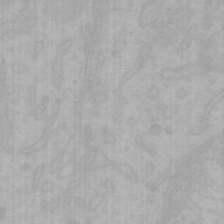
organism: Mouse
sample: Choroid plexus